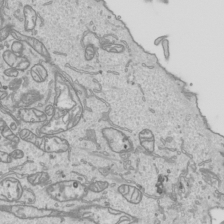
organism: Human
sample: Mitochondria in HCT116 cells